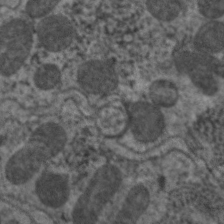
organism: C. elegans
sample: Pharynx